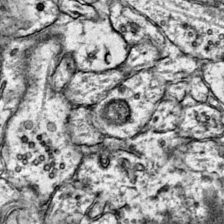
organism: Mouse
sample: Primary visual cortex